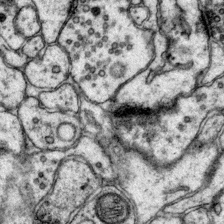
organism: Mouse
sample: Primary visual cortex